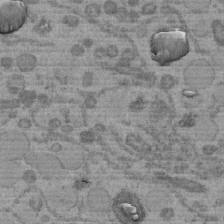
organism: C. elegans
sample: C. elegans embryo early stage